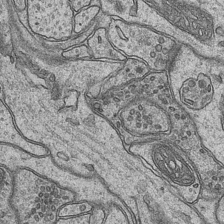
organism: Mouse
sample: CA1 Hippocampus